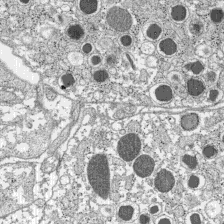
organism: C57BL Mouse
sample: Pancreatic islet